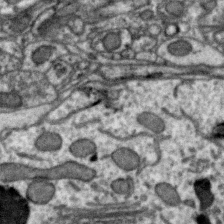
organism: Zebra finch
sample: Brain